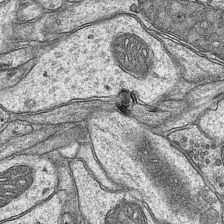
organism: Mouse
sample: CA1 Hippocampus